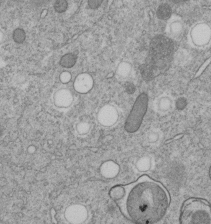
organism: C. elegans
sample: C. elegans embryo early stage